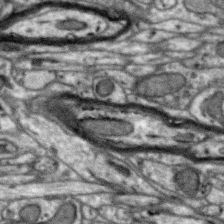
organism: Zebra finch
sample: Brain